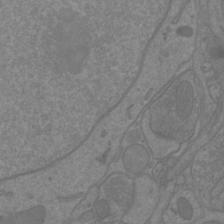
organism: Mouse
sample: Cortical neurons